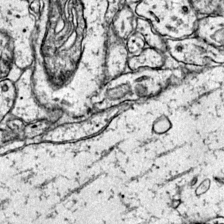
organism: Mouse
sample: Primary visual cortex